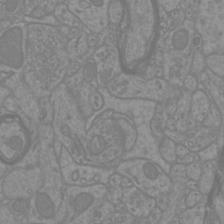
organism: Mouse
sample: Cortical neurons